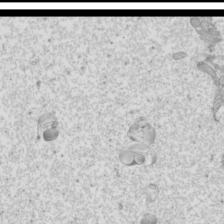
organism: Mouse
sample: Cilia; mouse epididymis